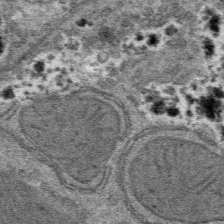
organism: Mouse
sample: Mouse hepatocytes